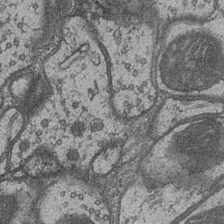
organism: Drosophila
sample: Optic medulla